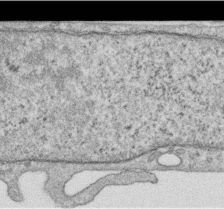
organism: Human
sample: Centriole in RPE cells